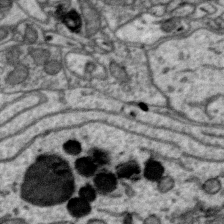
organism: Zebra finch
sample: Brain